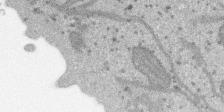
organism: Human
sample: Lung epithelial cells infected with SARS-CoV-2